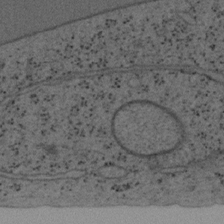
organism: Human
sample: HeLa cells